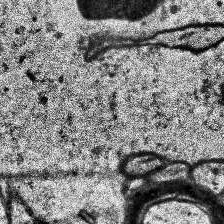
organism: Human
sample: Temporal Lobe